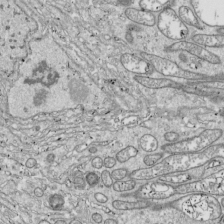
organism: Drosophila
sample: Cell division; meiosis; drosophila spermatocytes